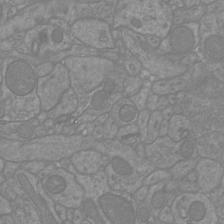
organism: Mouse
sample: Cortical neurons